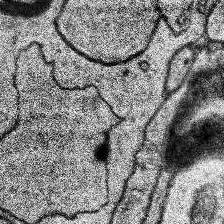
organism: Human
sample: Temporal Lobe